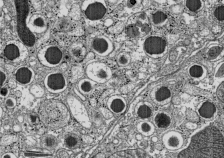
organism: C57BL Mouse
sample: Pancreatic islet